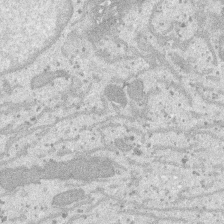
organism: Human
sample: Lung epithelial cells infected with SARS-CoV-2